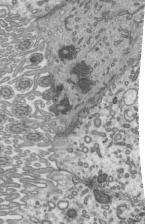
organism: Mouse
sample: Mouse epididymis efferent ductule cilia